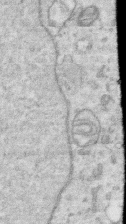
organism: Human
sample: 1205lu cells